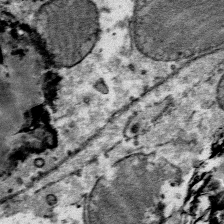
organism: Mouse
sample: Mouse Salivary gland